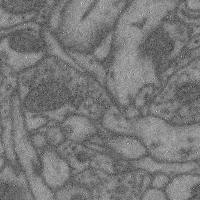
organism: Mouse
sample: Cerebral cortex